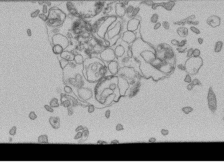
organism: Human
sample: Retinal organoid Rod and Cone cells